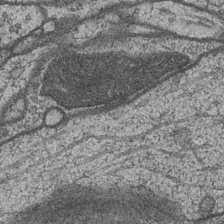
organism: Drosophila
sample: Optic medulla